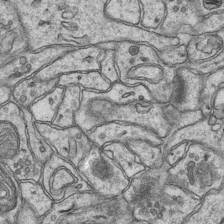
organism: Mouse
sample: CA1 Hippocampus